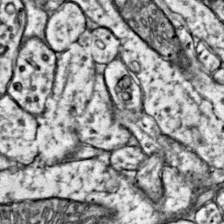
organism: Mouse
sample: Primary visual cortex